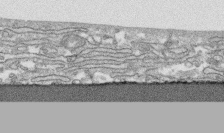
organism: Human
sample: CRL-1474